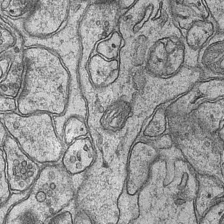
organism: Mouse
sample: CA1 Hippocampus